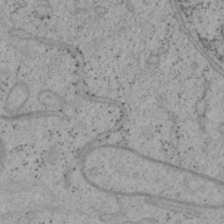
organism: Human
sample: HeLa cells